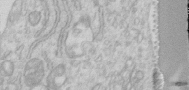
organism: Human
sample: Centriole in RPE cells